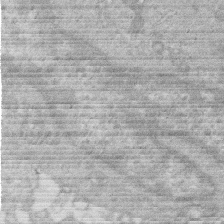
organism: Human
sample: Macrophage cells